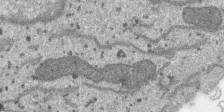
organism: Human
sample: Lung epithelial cells infected with SARS-CoV-2